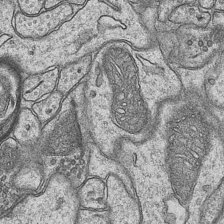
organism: Mouse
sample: CA1 Hippocampus